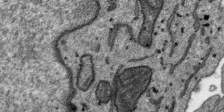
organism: Human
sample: Lung epithelial cells, uninfected (mock) control